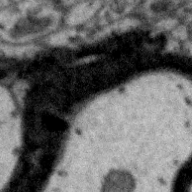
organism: Zebra finch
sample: Brain